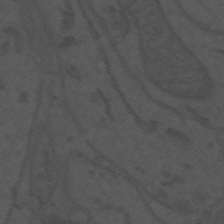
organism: Mouse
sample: Suprachiasmatic nucleus